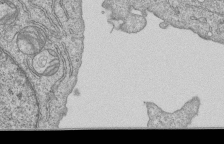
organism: Human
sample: MDA-MB-231 cells